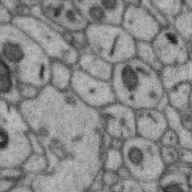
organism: Zebra finch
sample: Brain